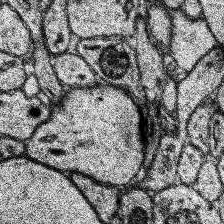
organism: Human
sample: Temporal Lobe